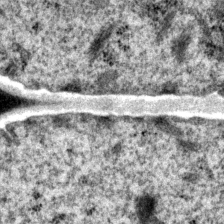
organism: P. pacificus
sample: Pharynx